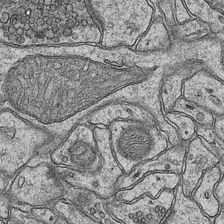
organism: Mouse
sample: CA1 Hippocampus